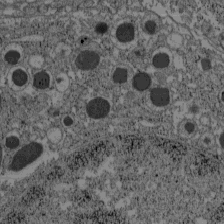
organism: C57BL Mouse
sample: Pancreatic islet